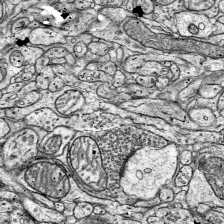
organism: Mouse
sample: Visual Cortex